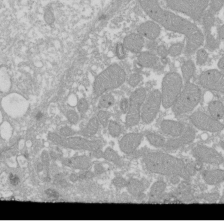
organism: Xenopus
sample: Cilia; centrioles in frog embryo cells